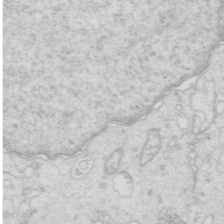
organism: Mouse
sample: Multiciliated cells